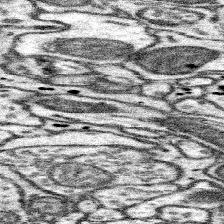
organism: Mouse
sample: Somatosensory cortex neuropil